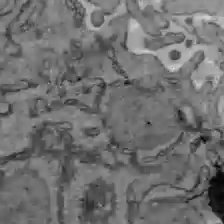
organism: C57BL Mouse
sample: Liver